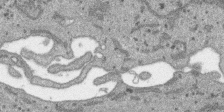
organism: Human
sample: Lung epithelial cells infected with SARS-CoV-2